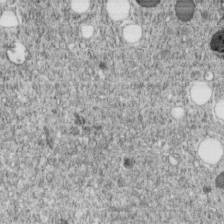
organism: C. elegans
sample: C. elegans embryo early stage